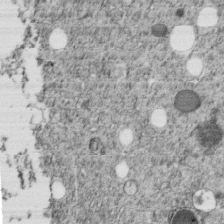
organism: C. elegans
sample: C. elegans embryo early stage